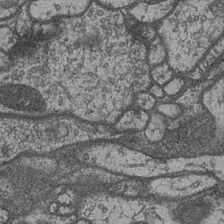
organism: Drosophila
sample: Optic medulla